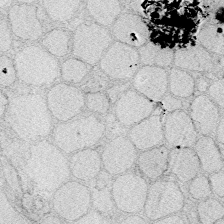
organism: Zebrafish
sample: Whole-Brain